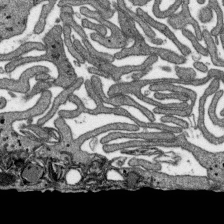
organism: Human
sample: Lung epithelial cells, uninfected (mock) control